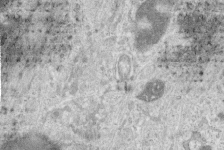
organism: Human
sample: Centriole in RPE cells